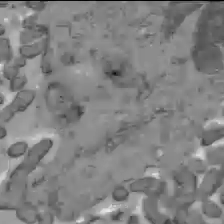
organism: C57BL Mouse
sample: Liver